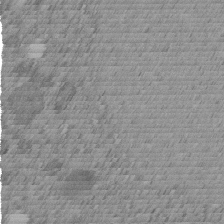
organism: C. elegans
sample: C. elegans embryo early stage